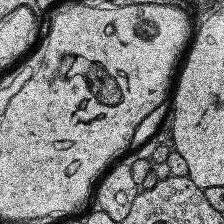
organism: Human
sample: Temporal Lobe